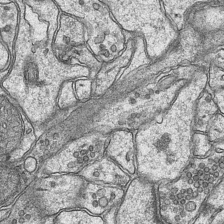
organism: Mouse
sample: CA1 Hippocampus